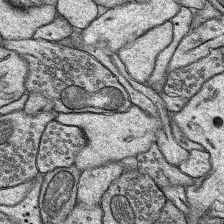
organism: Rat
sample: Hippocampus